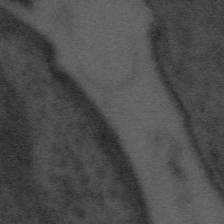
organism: Tuwongella immobilis